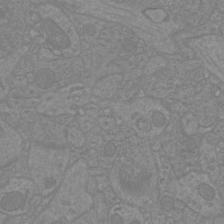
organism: Mouse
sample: Cortical neurons